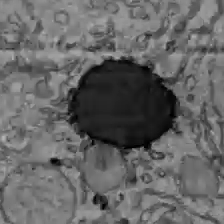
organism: C57BL Mouse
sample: Liver